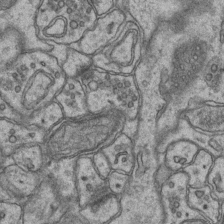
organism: Mouse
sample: CA1 Hippocampus